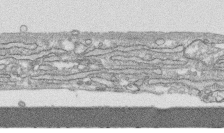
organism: Human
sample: CRL-1474